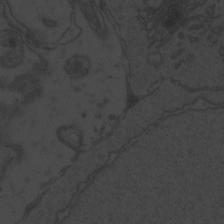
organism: Zebrafish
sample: Macrophage infected with Toxoplasma gondii